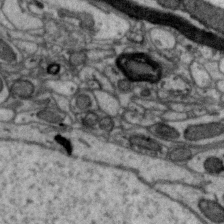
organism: Zebra finch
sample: Brain